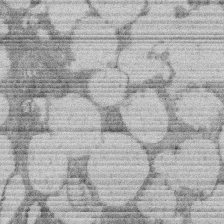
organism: Rat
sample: Salivary granule